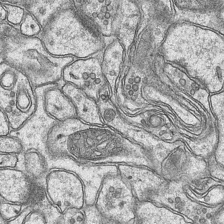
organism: Mouse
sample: CA1 Hippocampus